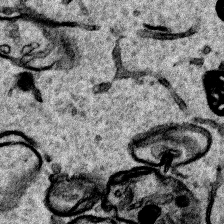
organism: Human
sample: Mitochondria in HCT116 cells